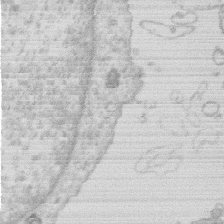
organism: Human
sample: Macrophage cells